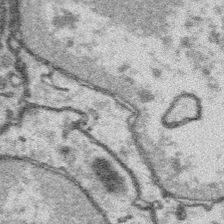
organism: Platynereis dumerilii